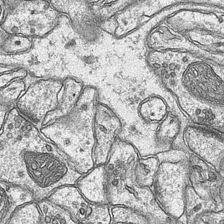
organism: Mouse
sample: CA1 Hippocampus